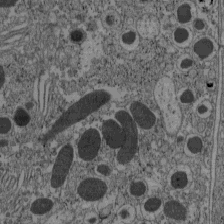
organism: C57BL Mouse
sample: Pancreatic islet